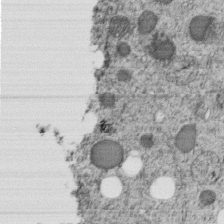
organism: C. elegans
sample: C. elegans embryo early stage